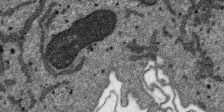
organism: Human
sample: Lung epithelial cells infected with SARS-CoV-2